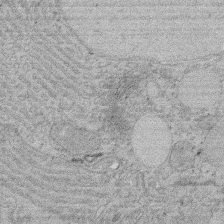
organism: Rat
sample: Salivary granule